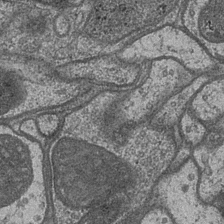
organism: Drosophila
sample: Optic medulla